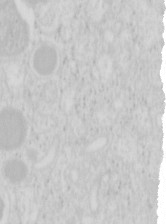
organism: Mouse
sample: Pancreas